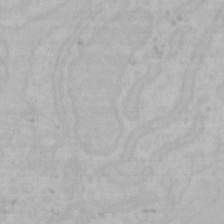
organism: Mouse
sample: Choroid plexus